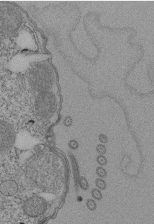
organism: Tetrahymena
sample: Cilia in tetrahymena